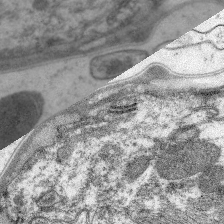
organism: C. elegans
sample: Pharynx